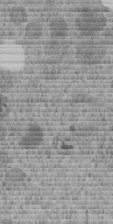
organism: C. elegans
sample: C. elegans embryo early stage